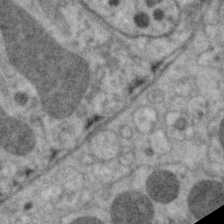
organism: C. elegans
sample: Pharynx